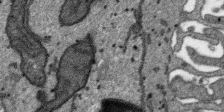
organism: Human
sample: Lung epithelial cells, uninfected (mock) control